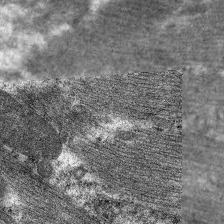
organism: C. elegans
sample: Pharynx